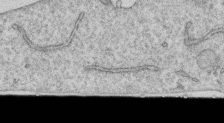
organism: Human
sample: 1205lu cells